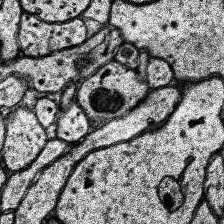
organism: Human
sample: Temporal Lobe